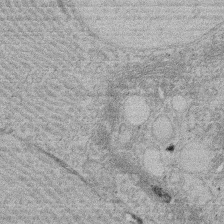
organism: Rat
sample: Salivary granule